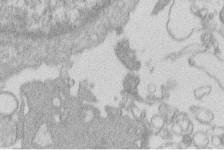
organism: Human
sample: Macrophage cells